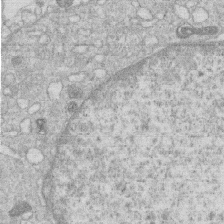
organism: Human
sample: Macrophage cells